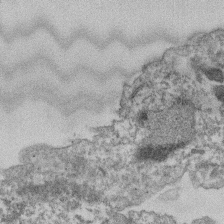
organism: Dictyostelium discoideum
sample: Dictyostelium multivesicular bodies